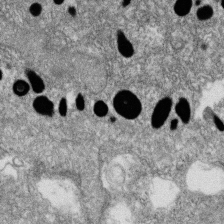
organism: Zebrafish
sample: Cilia; retinal pigment epithelium